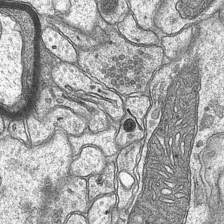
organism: Mouse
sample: CA1 Hippocampus